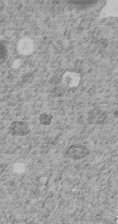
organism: C. elegans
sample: C. elegans embryo early stage